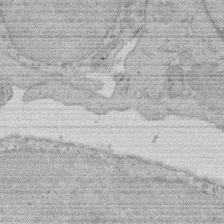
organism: Rat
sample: Salivary granule